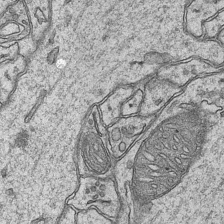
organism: Mouse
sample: CA1 Hippocampus